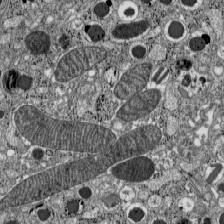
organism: C57BL Mouse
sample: Pancreatic islet